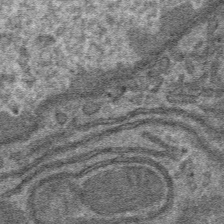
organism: Mouse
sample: Mouse hepatocytes